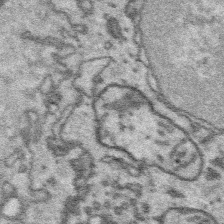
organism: Platynereis dumerilii